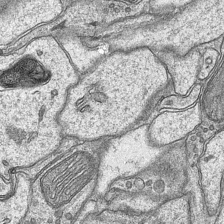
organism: Mouse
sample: CA1 Hippocampus